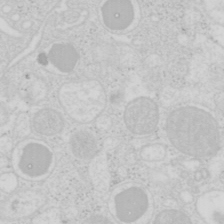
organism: Mouse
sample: Pancreas